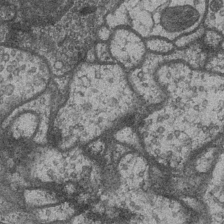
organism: Drosophila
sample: Optic medulla